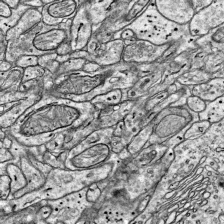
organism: Mouse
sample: Visual Cortex